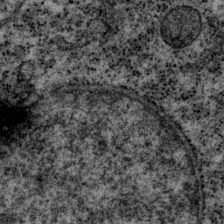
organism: P. pacificus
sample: Pharynx